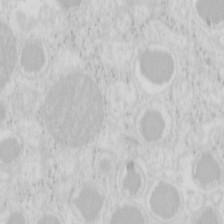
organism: Mouse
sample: Pancreas